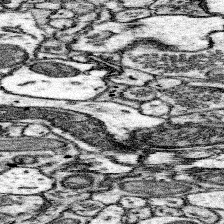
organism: Mouse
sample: Somatosensory cortex neuropil